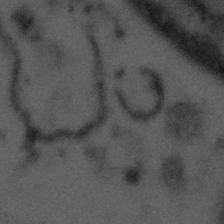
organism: Tuwongella immobilis